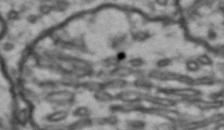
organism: Drosophila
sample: Brain